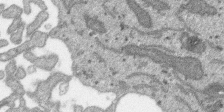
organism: Human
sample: Lung epithelial cells infected with SARS-CoV-2